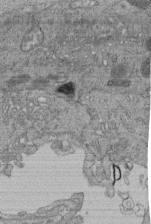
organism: Human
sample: Retinal organoid Rod and Cone cells